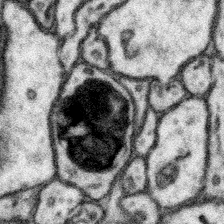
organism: Mouse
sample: Somatosensory cortex neuropil